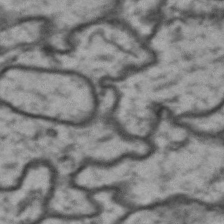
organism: Drosophila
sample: Brain